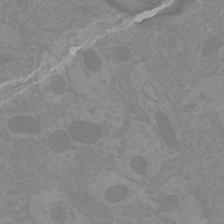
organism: Mouse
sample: Cortical neurons